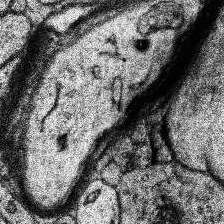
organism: Human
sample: Temporal Lobe